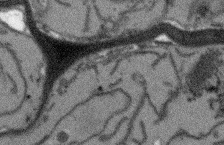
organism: Arabidopsis thaliana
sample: Root tip